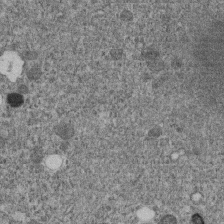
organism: C. elegans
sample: C. elegans embryo early stage